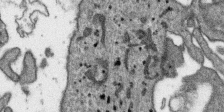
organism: Human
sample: Lung epithelial cells, uninfected (mock) control